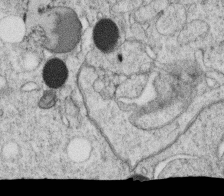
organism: C. elegans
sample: C. elegans oocyte; sperm cells